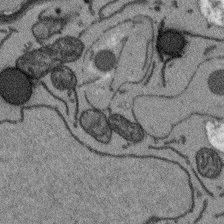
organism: Arabidopsis thaliana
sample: Root tip